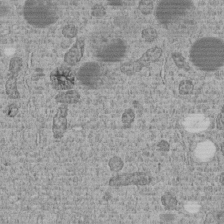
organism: C. elegans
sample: C. elegans embryo early stage